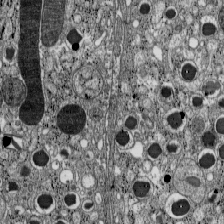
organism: C57BL Mouse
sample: Pancreatic islet